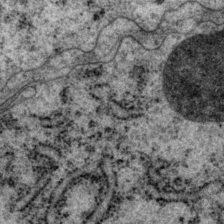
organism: P. pacificus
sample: Pharynx